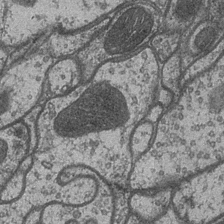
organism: Drosophila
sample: Optic medulla